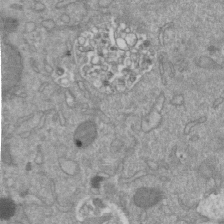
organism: Mouse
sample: ED-1 cell nuclei; centrioles